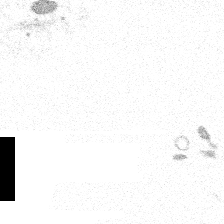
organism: Spongilla lacustris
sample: Multiple